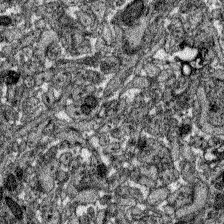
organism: Zebrafish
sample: Larval olfactory bulb